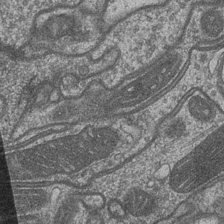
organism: Drosophila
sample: Optic medulla